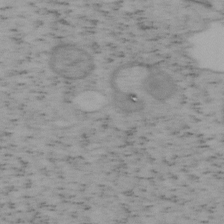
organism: Mouse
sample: OT-I killer T cells with ID8 ovarian cancer cells